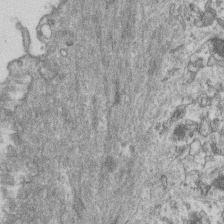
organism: Mouse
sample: Centriole in ependymal cells